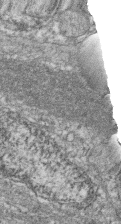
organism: Zebrafish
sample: Cilia; retinal pigment epithelium